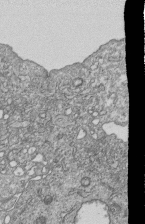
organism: Human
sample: MDA-MB-231 cells